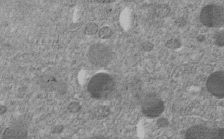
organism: C. elegans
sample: C. elegans embryo early stage